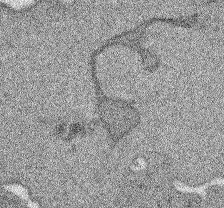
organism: Human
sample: HeLa cells